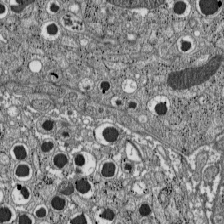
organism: C57BL Mouse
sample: Pancreatic islet